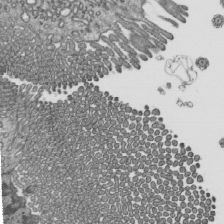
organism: Mouse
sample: Mouse epididymis efferent ductule cilia